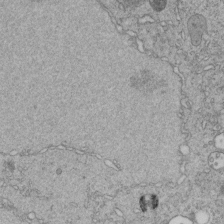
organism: C. elegans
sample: C. elegans embryo early stage